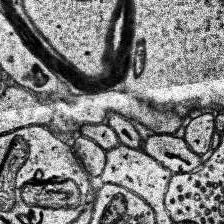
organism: Human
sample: Temporal Lobe